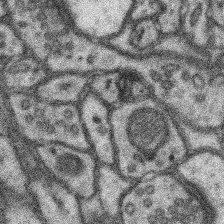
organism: Mouse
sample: Somatosensory cortex neuropil